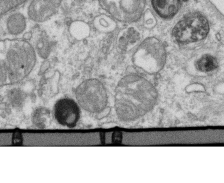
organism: Mouse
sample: Activated OT-1 CD8+ T cells